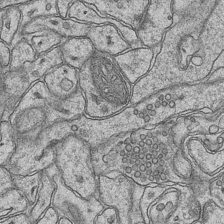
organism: Mouse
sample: CA1 Hippocampus